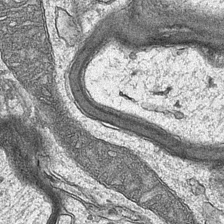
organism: Mouse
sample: CA1 Hippocampus